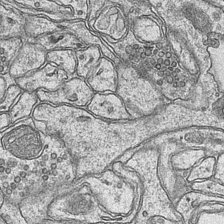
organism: Mouse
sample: CA1 Hippocampus